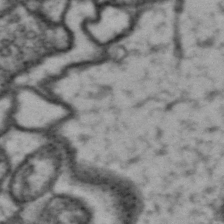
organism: Drosophila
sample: Brain